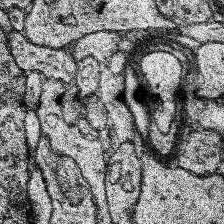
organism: Human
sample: Temporal Lobe